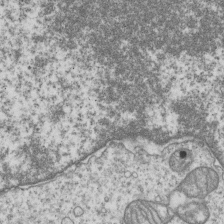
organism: Human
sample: MDA-MB-231 cells